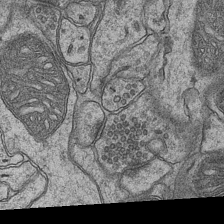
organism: Mouse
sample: CA1 Hippocampus